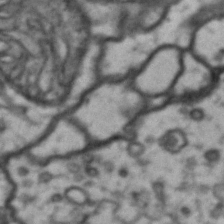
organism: Drosophila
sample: Brain